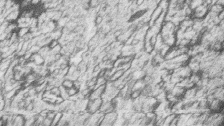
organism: Zebrafish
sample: synaptic ribbons in rod cells and cone cells